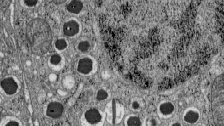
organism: C57BL Mouse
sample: Pancreatic islet